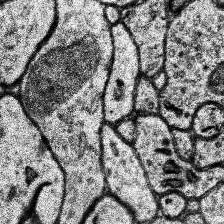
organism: Human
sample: Temporal Lobe